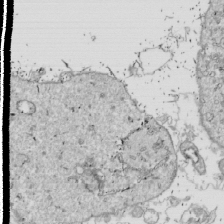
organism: Drosophila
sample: Cell division; meiosis; drosophila spermatocytes